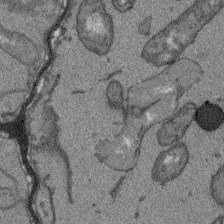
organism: Arabidopsis thaliana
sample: Root tip